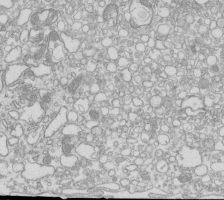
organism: Mouse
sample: Macrophages